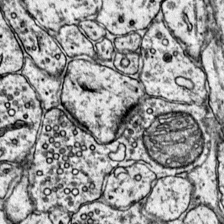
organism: Mouse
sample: Primary visual cortex